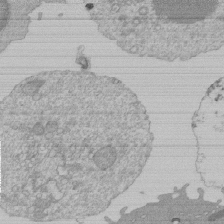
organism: Mouse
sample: Activated Pmel transgenic CD8+ T Cells